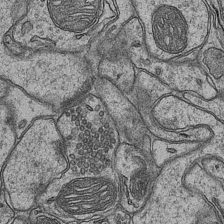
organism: Mouse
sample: CA1 Hippocampus